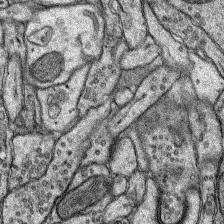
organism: Rat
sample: Hippocampus